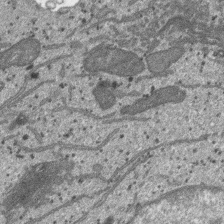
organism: Human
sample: Lung epithelial cells infected with SARS-CoV-2